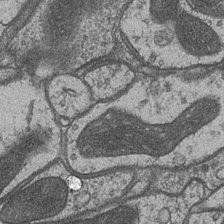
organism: Drosophila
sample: Optic medulla